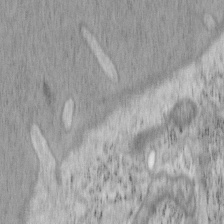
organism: Human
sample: HeLa cells